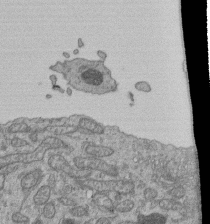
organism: Human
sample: Retinal organoid Rod and Cone cells